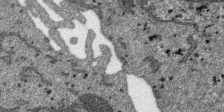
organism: Human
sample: Lung epithelial cells infected with SARS-CoV-2